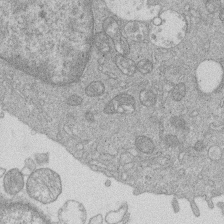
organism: Human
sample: Macrophage cells